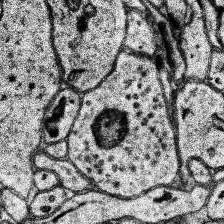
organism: Human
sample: Temporal Lobe